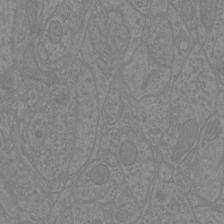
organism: Mouse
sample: Cortical neurons